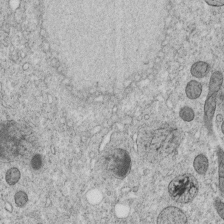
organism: C. elegans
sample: C. elegans embryo early stage